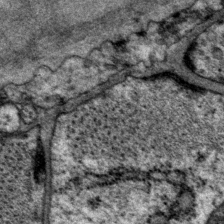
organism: P. pacificus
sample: Pharynx